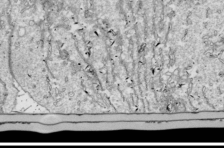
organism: Drosophila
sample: Cell division; meiosis; drosophila spermatocytes